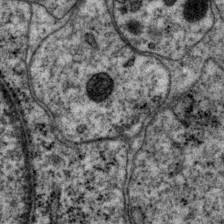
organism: P. pacificus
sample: Pharynx